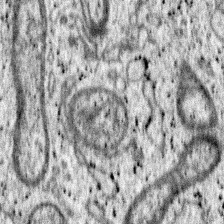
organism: Human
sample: HeLa cells